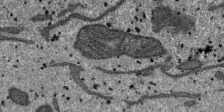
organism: Human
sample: Lung epithelial cells, uninfected (mock) control